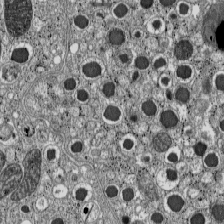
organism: C57BL Mouse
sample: Pancreatic islet